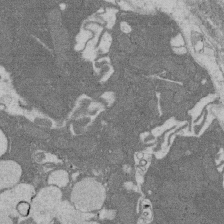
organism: Rat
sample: Salivary granule